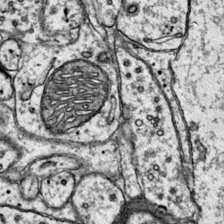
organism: Mouse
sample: Primary visual cortex